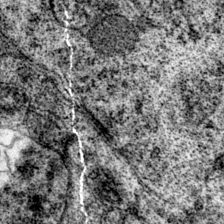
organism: Mouse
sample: Primary visual cortex